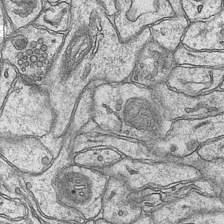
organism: Mouse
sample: CA1 Hippocampus